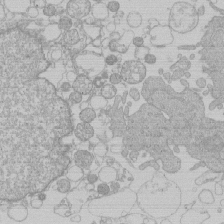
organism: Human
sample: Macrophage cells